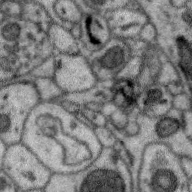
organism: Zebra finch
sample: Brain